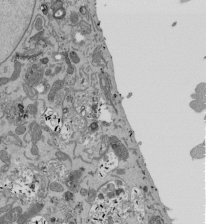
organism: Mouse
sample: ED-1 cell nuclei; centrioles